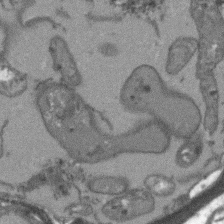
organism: Arabidopsis thaliana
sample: Root tip